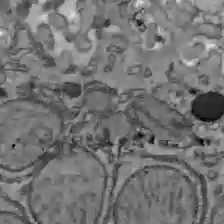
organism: C57BL Mouse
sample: Liver